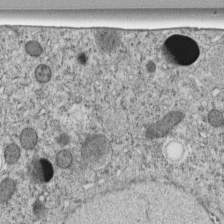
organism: C. elegans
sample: C. elegans embryo early stage